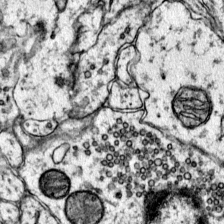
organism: Mouse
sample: Primary visual cortex